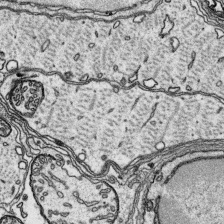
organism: Platynereis dumerilii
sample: Parapodia